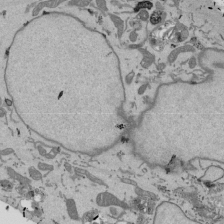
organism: Mouse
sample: ED-1 cell nuclei; centrioles